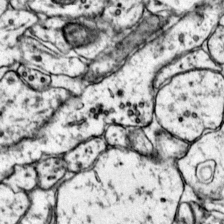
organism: Mouse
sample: Primary visual cortex